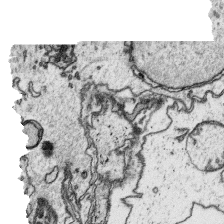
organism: Platynereis dumerilii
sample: Parapodia